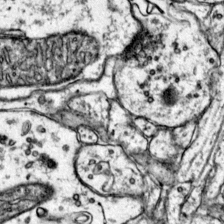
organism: Mouse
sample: Primary visual cortex